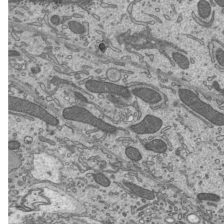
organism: Mouse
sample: Mouse epididymis efferent ductule cilia